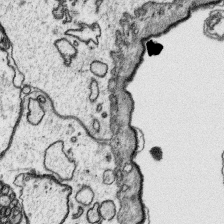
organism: Platynereis dumerilii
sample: Parapodia